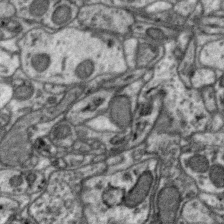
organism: Zebra finch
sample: Brain